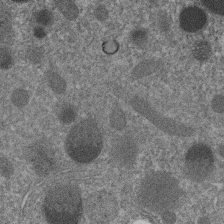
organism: C. elegans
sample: C. elegans embryo early stage